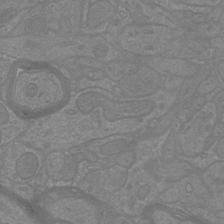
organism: Mouse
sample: Cortical neurons